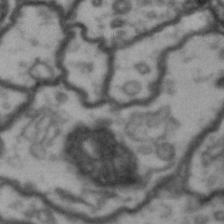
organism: Drosophila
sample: Brain